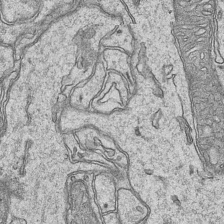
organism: Mouse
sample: CA1 Hippocampus